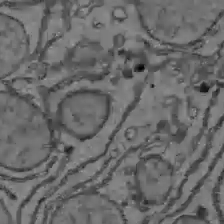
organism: C57BL Mouse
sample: Liver